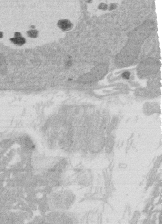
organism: Rat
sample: Salivary granule